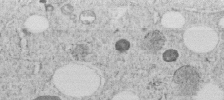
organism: C. elegans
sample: C. elegans embryo early stage